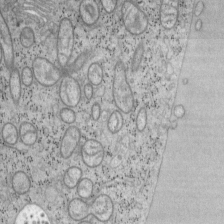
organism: Mouse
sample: OT-I killer T cells with ID8 ovarian cancer cells